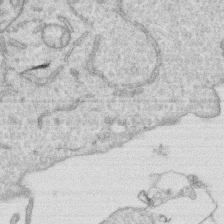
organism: Human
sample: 1205lu cells